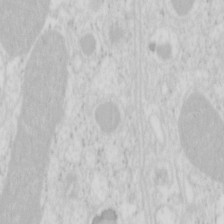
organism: Mouse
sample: Pancreas